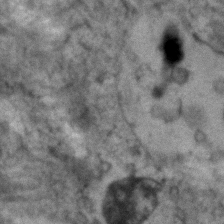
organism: Human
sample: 1205lu cells